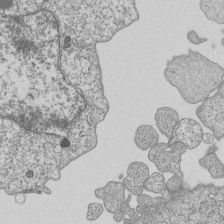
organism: Human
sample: MDA-MB-231 cells